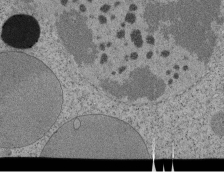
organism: Tetrahymena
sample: Cilia in tetrahymena